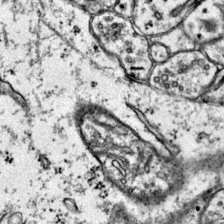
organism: Mouse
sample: Primary visual cortex